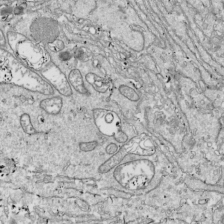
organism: Drosophila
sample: Cell division; meiosis; drosophila spermatocytes